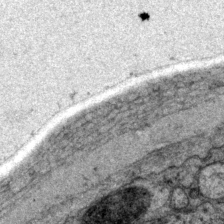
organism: P. pacificus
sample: Pharynx